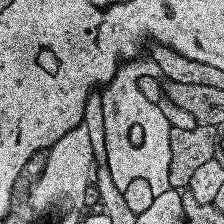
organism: Human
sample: Temporal Lobe